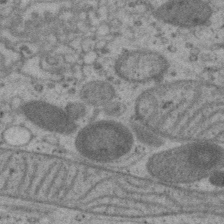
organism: Human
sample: HeLa cells